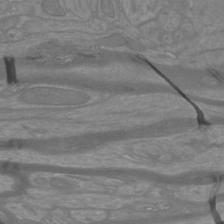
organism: Mouse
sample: Cortical neurons